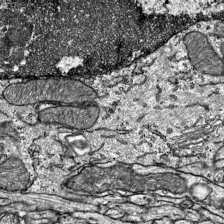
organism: Mouse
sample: Visual Cortex